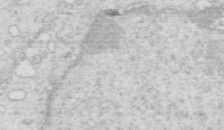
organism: Mouse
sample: Multiciliated cells